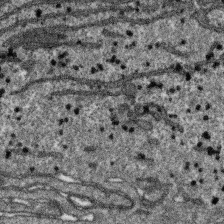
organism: Human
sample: Lung epithelial cells infected with SARS-CoV-2